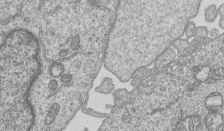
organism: Human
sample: MDA-MB-231 cells